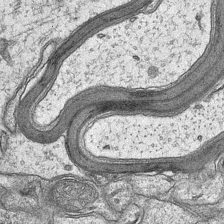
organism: Mouse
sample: CA1 Hippocampus